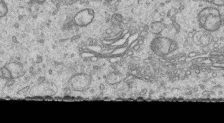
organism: Human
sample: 1205lu cells